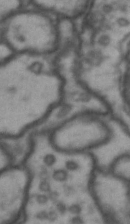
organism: Drosophila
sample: Brain